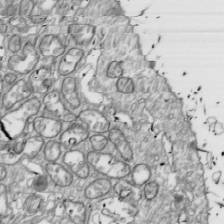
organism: Drosophila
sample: Cell division; meiosis; drosophila spermatocytes